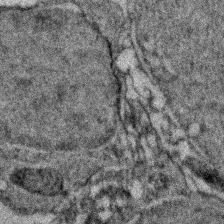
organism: Zebrafish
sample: Zebrafish embryo